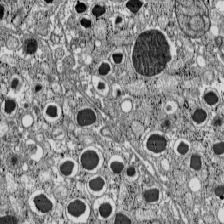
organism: C57BL Mouse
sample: Pancreatic islet